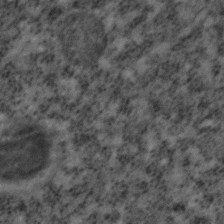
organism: C. elegans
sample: C. elegans embryo